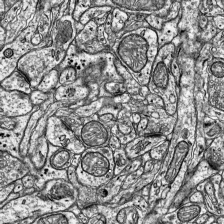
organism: Mouse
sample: Visual Cortex